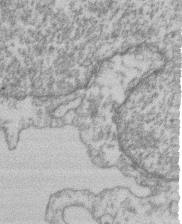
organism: Mouse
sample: T cell stromal cell synapse